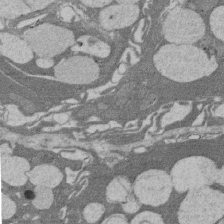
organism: Rat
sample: Salivary granule